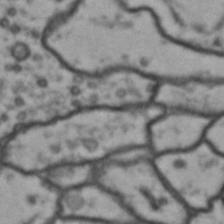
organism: Drosophila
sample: Brain